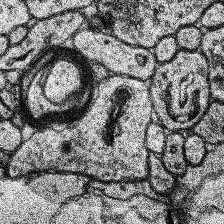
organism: Human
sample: Temporal Lobe